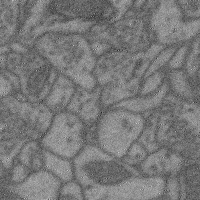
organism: Mouse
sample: Cerebral cortex